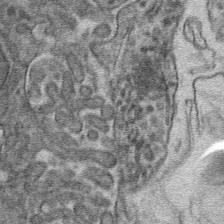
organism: Mouse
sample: Mouse hepatocytes